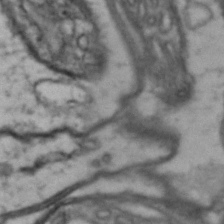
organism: Drosophila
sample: Brain